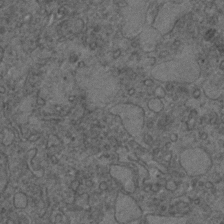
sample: Trachea